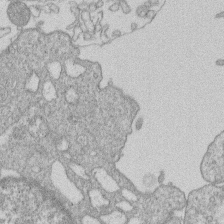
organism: Human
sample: Macrophage cells